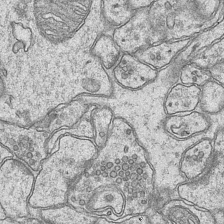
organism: Mouse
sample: CA1 Hippocampus